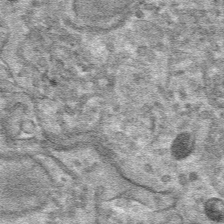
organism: Mouse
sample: Mouse hepatocytes